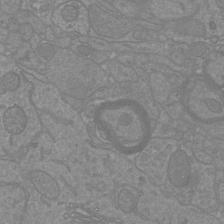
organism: Mouse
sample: Cortical neurons